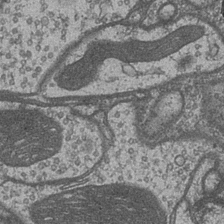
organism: Drosophila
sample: Optic medulla